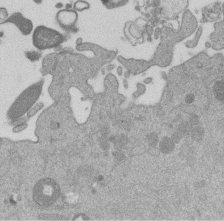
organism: Mouse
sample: Dividing mouse embryo 1 cell stage